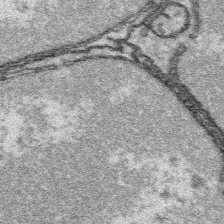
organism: Platynereis dumerilii